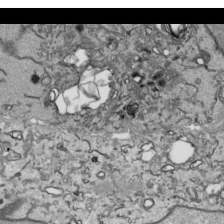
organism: Human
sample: Mitochondria in HCT116 cells